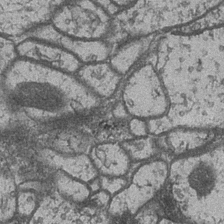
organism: Drosophila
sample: Optic medulla